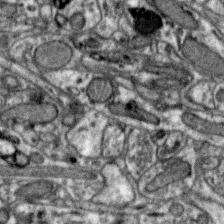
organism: Zebra finch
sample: Brain